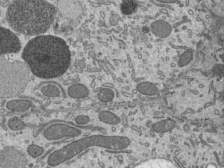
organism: Mouse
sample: Mouse epididymis efferent ductule cilia